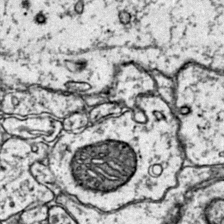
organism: Mouse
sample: Primary visual cortex